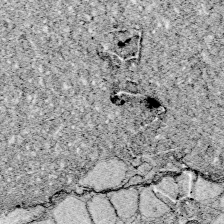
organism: Zebrafish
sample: Whole-Brain